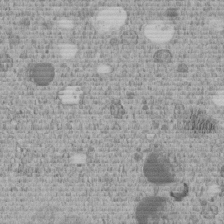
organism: C. elegans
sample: C. elegans embryo early stage